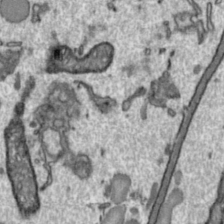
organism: Toxoplasma gondii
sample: Parasites in a vacuole inside a host cell